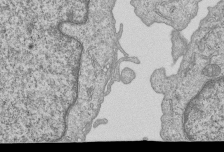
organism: Human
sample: MDA-MB-231 cells